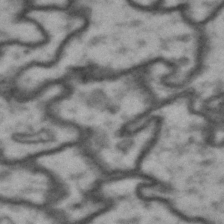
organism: Drosophila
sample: Brain